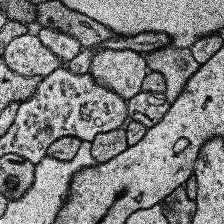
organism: Human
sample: Temporal Lobe